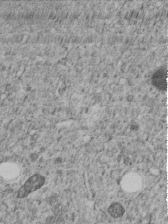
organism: C. elegans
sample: C. elegans embryo early stage